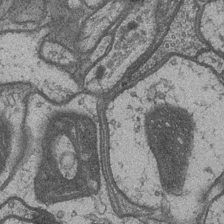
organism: Drosophila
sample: Optic medulla